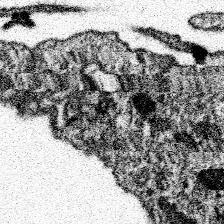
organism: Spongilla lacustris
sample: Neuroid cell